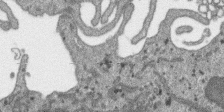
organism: Human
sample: Lung epithelial cells infected with SARS-CoV-2